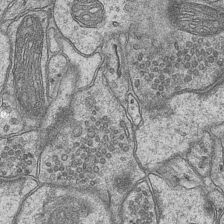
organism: Mouse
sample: CA1 Hippocampus